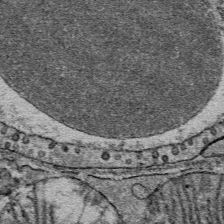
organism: Mouse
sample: Mouse Salivary gland